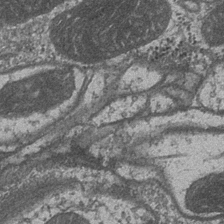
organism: Drosophila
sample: Optic medulla